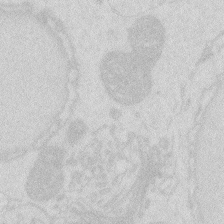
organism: Zebrafish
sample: Macrophage